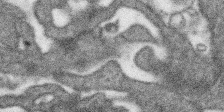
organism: Human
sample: Lung epithelial cells infected with SARS-CoV-2